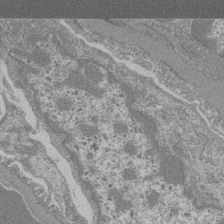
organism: Mouse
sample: Glomerulus